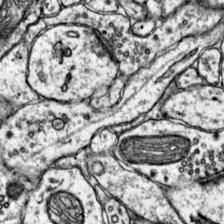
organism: Mouse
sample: Primary visual cortex